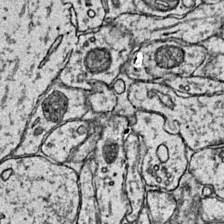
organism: Mouse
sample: Primary visual cortex